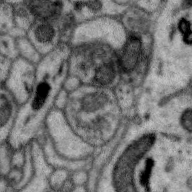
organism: Zebra finch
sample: Brain